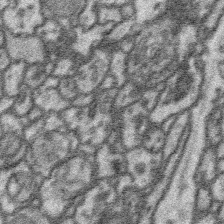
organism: Platynereis dumerilii